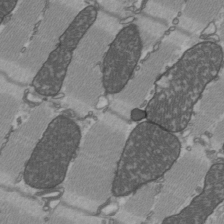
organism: C57BL Mouse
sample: Heart